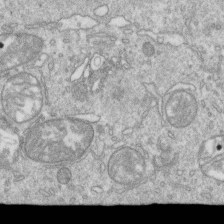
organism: Mouse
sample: Activated OT-1 CD8+ T cells